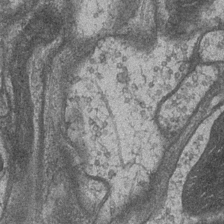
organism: Drosophila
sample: Optic medulla